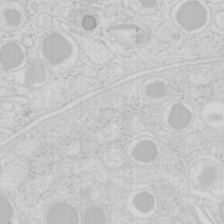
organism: Mouse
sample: Pancreas